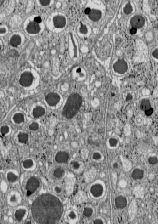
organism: C57BL Mouse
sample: Pancreatic islet